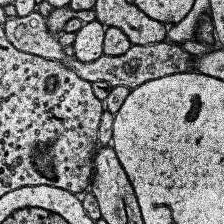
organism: Human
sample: Temporal Lobe